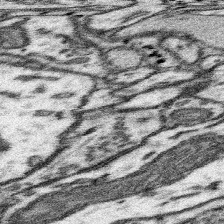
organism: Mouse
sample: Somatosensory cortex neuropil